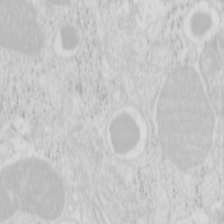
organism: Mouse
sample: Pancreas